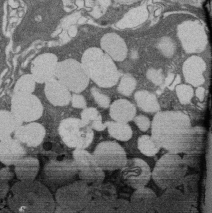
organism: Rat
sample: Salivary granule